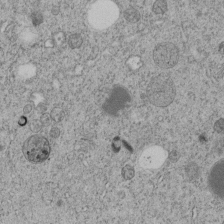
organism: C. elegans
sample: C. elegans embryo early stage